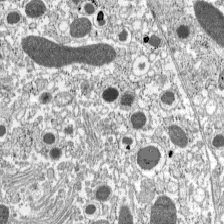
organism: C57BL Mouse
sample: Pancreatic islet